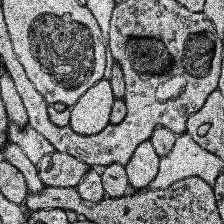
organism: Human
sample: Temporal Lobe